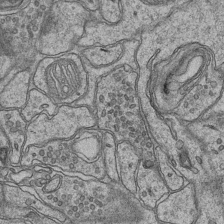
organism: Mouse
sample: CA1 Hippocampus